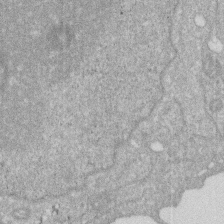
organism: Human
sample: HIV infected U937 cells